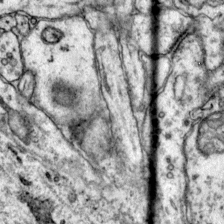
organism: Mouse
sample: Primary visual cortex